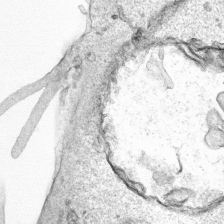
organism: Human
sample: Mitochondria in HCT116 cells